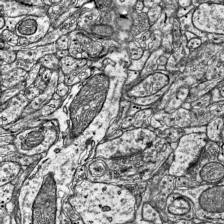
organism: Mouse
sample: Visual Cortex